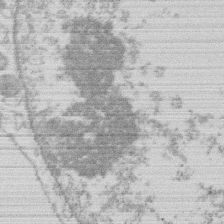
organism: Human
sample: Macrophage cells